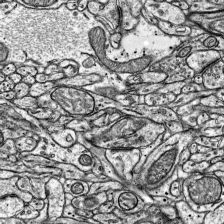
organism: Mouse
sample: Visual Cortex